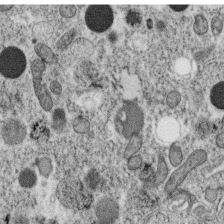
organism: C. elegans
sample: C. elegans oocyte; sperm cells